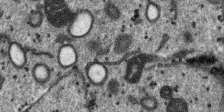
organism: Human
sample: Lung epithelial cells infected with SARS-CoV-2